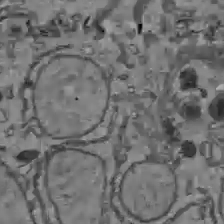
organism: C57BL Mouse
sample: Liver